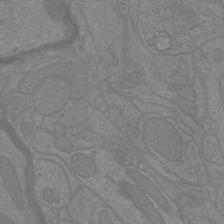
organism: Mouse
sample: Cortical neurons